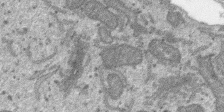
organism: Human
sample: Lung epithelial cells infected with SARS-CoV-2